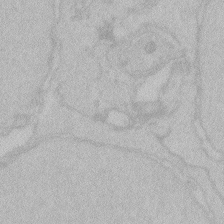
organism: Zebrafish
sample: Macrophage infected with Toxoplasma gondii